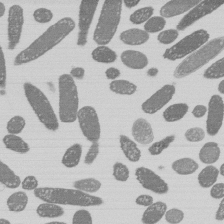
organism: E. coli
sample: Bacterial nucleoid